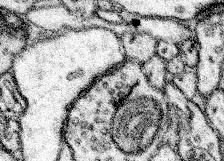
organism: Mouse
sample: Somatosensory cortex neuropil